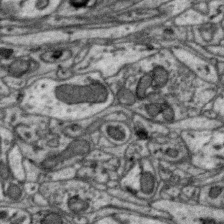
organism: Zebra finch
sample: Brain